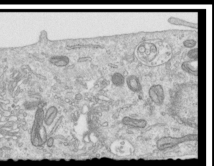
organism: Human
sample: Centriole in RPE cells